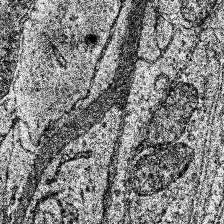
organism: Human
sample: Temporal Lobe